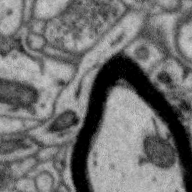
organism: Zebra finch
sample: Brain